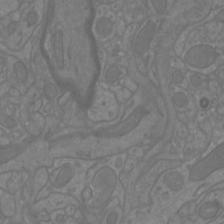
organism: Mouse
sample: Cortical neurons